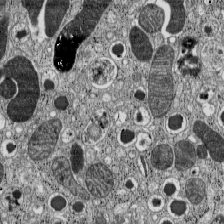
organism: C57BL Mouse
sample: Pancreatic islet